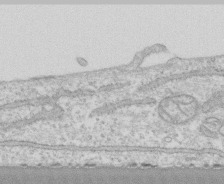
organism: Human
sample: CRL-1474